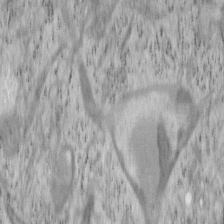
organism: Human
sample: HeLa cells